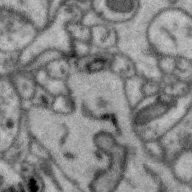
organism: Zebra finch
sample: Brain